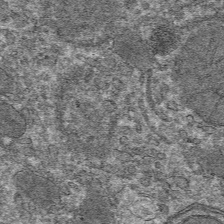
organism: Mouse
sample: Mouse hepatocytes